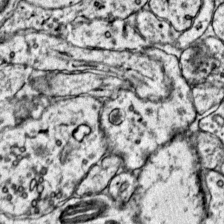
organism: Mouse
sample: Primary visual cortex